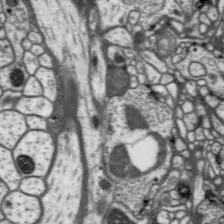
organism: Drosophila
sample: Protocerebral bridge